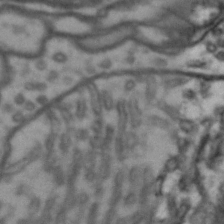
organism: Drosophila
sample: Brain